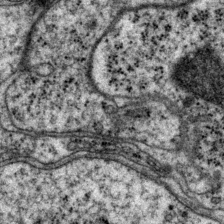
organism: P. pacificus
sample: Pharynx